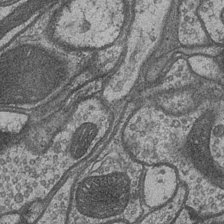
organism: Drosophila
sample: Optic medulla